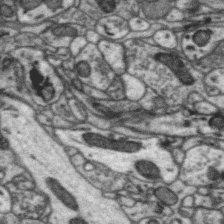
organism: Zebra finch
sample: Brain